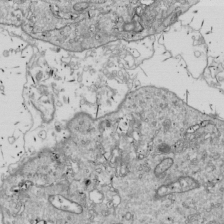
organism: Drosophila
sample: Cell division; meiosis; drosophila spermatocytes